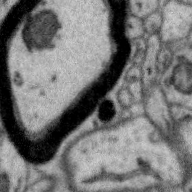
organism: Zebra finch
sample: Brain